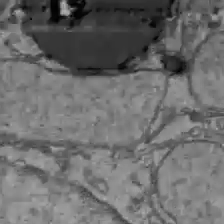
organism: C57BL Mouse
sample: Liver